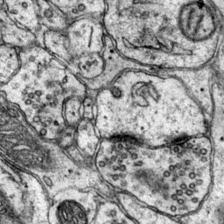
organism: Mouse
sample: Primary visual cortex